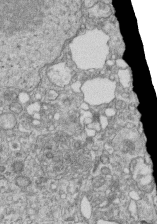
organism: Human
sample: HeLa cell HIV synapse